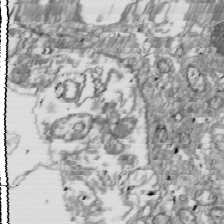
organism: Drosophila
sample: Cell division; meiosis; drosophila spermatocytes